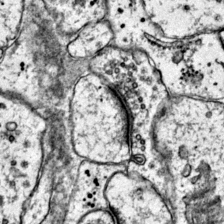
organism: Mouse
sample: Primary visual cortex